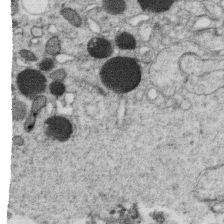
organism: C. elegans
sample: C. elegans oocyte; sperm cells